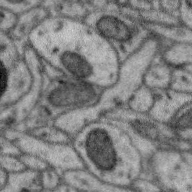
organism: Zebra finch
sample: Brain